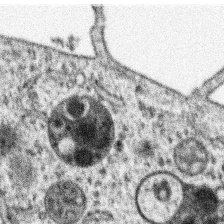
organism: Human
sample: HeLa cells